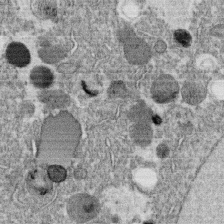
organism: C. elegans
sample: C. elegans oocyte; sperm cells